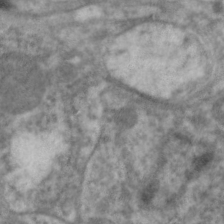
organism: C. elegans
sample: Pharynx